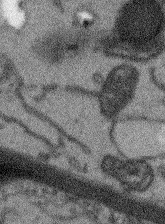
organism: Arabidopsis thaliana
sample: Root tip